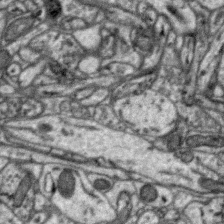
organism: Zebra finch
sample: Brain